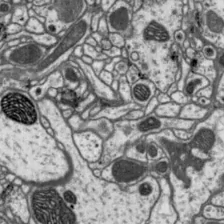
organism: Drosophila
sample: Protocerebral bridge